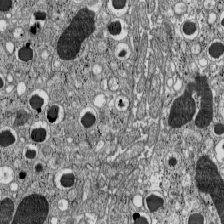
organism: C57BL Mouse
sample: Pancreatic islet